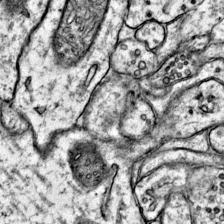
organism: Mouse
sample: Primary visual cortex